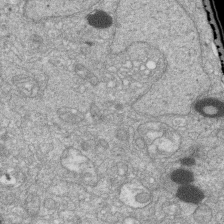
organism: Human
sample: HeLa cell HIV synapse